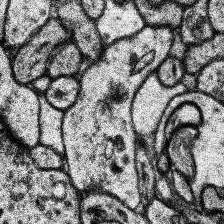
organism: Human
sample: Temporal Lobe